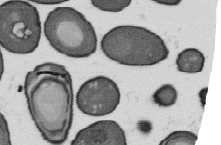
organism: B. subtilis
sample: Bacterial spore